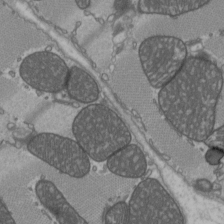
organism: C57BL Mouse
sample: Heart